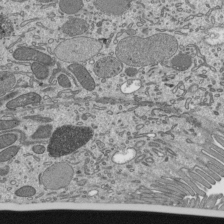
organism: Mouse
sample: Mouse epididymis efferent ductule cilia